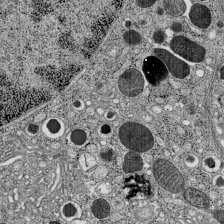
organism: C57BL Mouse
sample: Pancreatic islet